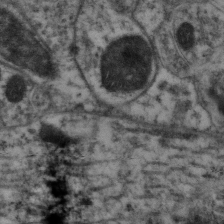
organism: Mouse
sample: Neocortex